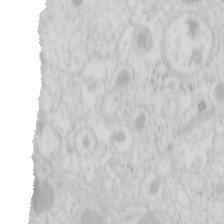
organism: Mouse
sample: Pancreas